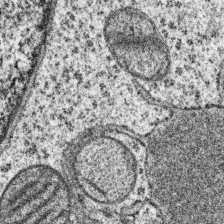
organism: Human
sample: HeLa cells